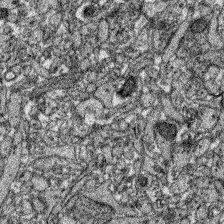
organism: Zebrafish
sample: Larval olfactory bulb